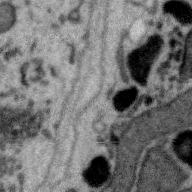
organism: Zebra finch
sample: Brain